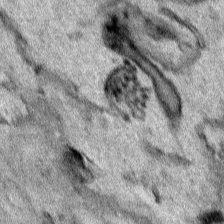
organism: Human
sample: Mitochondria in HCT116 cells